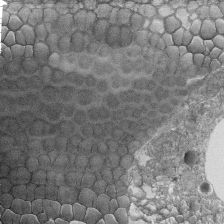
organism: Tetrahymena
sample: Cilia in tetrahymena